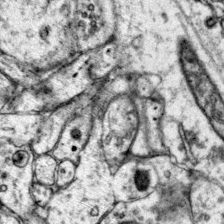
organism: Mouse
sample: Primary visual cortex